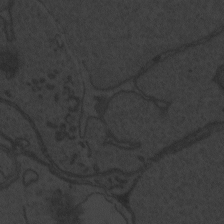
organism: Zebrafish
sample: Macrophage infected with Toxoplasma gondii